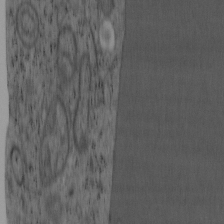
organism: Human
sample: HeLa cells